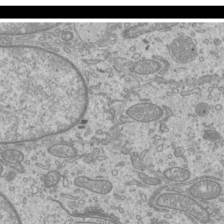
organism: Mouse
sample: Cilia; mouse epididymis